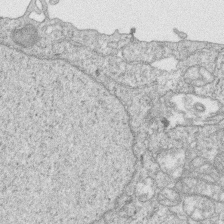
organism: Human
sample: HeLa cell HIV synapse